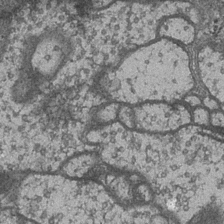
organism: Drosophila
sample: Optic medulla